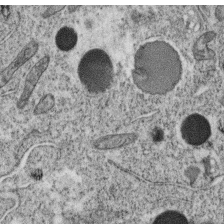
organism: C. elegans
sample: C. elegans oocyte; sperm cells